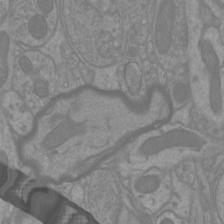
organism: Mouse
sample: Cortical neurons